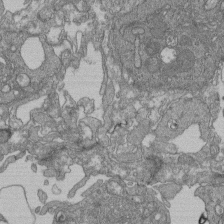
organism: Human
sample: Retinal organoid Rod and Cone cells